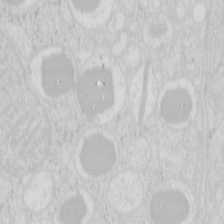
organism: Mouse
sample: Pancreas